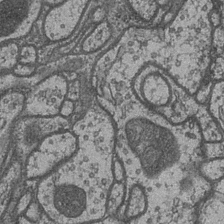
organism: Drosophila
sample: Optic medulla